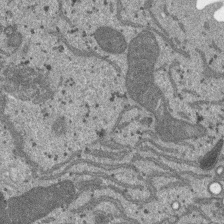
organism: Human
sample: Lung epithelial cells infected with SARS-CoV-2